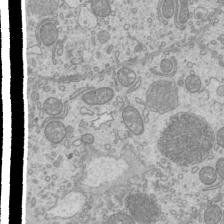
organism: Mouse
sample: Cilia; mouse epididymis